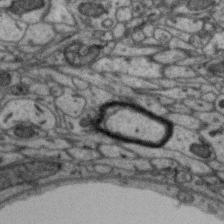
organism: Zebra finch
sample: Brain